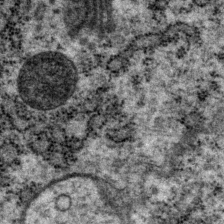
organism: P. pacificus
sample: Pharynx